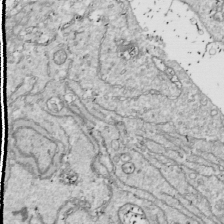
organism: Drosophila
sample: Cell division; meiosis; drosophila spermatocytes